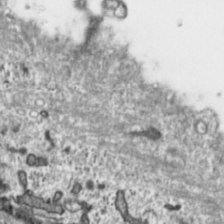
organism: Toxoplasma gondii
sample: Parasites in a vacuole inside a host cell